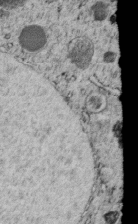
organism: C. elegans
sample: C. elegans embryo early stage